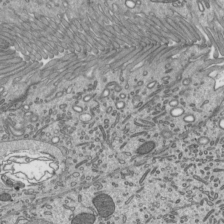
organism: Mouse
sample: Mouse epididymis efferent ductule cilia